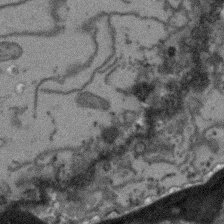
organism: Arabidopsis thaliana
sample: Root tip